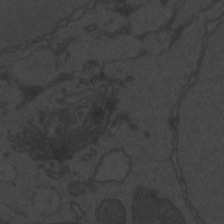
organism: Zebrafish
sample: Macrophage infected with Toxoplasma gondii